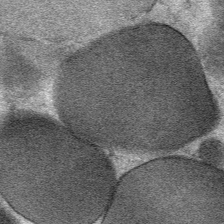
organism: Mouse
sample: Mouse Salivary gland